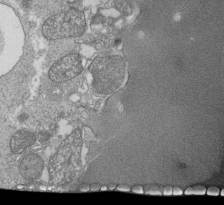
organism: Tetrahymena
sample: Cilia in tetrahymena